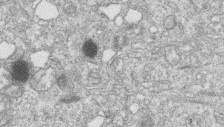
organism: Human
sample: HeLa cell HIV synapse